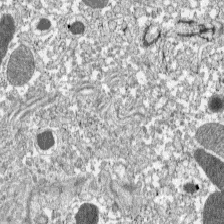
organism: C57BL Mouse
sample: Pancreatic islet